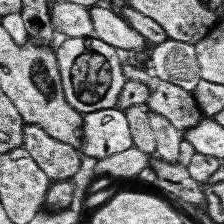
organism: Human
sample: Temporal Lobe